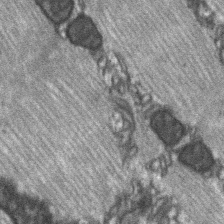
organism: C57BL Mouse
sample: Soleus